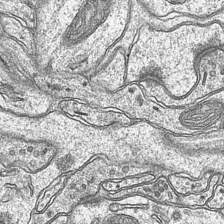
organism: Mouse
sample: CA1 Hippocampus